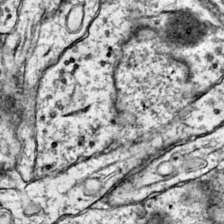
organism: Mouse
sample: Primary visual cortex